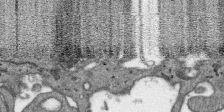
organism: Human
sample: Lung epithelial cells, uninfected (mock) control